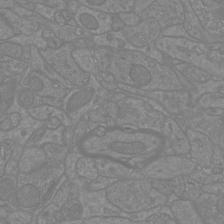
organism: Mouse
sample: Cortical neurons